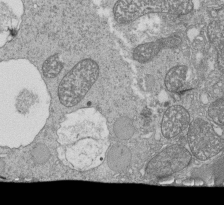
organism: Tetrahymena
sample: Cilia in tetrahymena